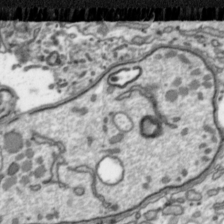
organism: Toxoplasma gondii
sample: Parasites in a vacuole inside a host cell